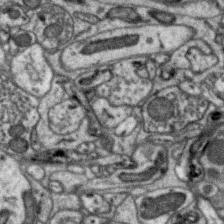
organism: Zebra finch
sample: Brain